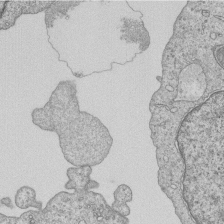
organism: Human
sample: MDA-MB-231 cells